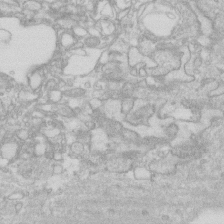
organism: Human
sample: Fibroblast cells